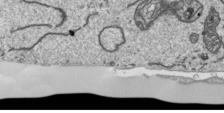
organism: Human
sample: Mitochondria in HCT116 cells